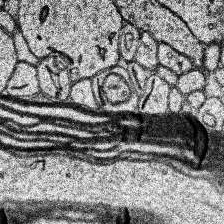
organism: Human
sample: Temporal Lobe